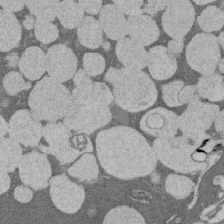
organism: Rat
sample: Salivary granule